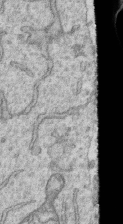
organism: Human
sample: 1205lu cells